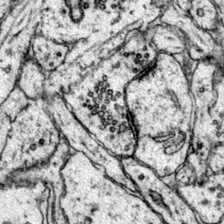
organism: Mouse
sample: Primary visual cortex